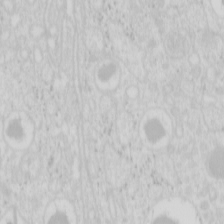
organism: Mouse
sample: Pancreas